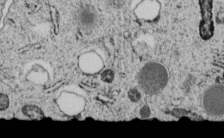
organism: C. elegans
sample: C. elegans embryo early stage